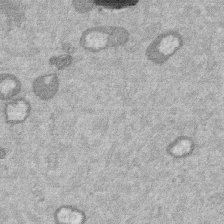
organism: Mouse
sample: Dividing mouse embryo 1 cell stage